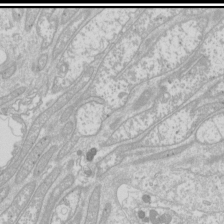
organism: Drosophila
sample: Cell division; meiosis; drosophila spermatocytes